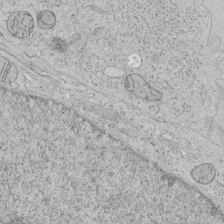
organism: Human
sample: Mitochondria in HCT116 cells